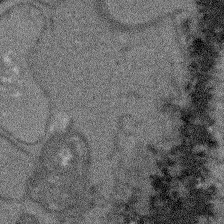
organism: Arabidopsis thaliana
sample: Root tip